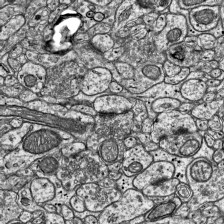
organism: Mouse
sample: Visual Cortex